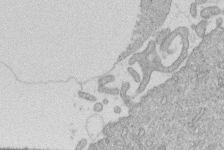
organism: Human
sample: Macrophage cells